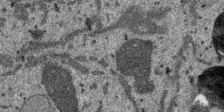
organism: Human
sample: Lung epithelial cells infected with SARS-CoV-2